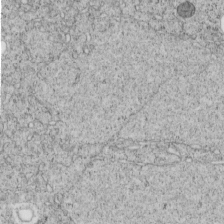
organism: C. elegans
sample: C. elegans embryo early stage